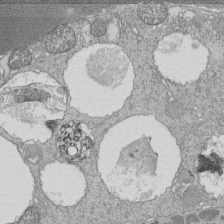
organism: Tetrahymena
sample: Cilia in tetrahymena